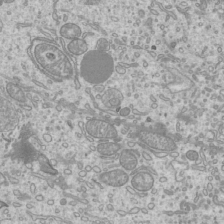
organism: Mouse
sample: Cilia; mouse epididymis